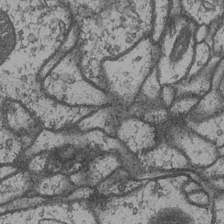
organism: Drosophila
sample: Optic medulla